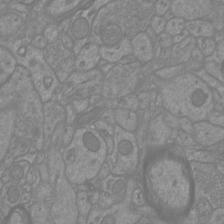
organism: Mouse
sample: Cortical neurons